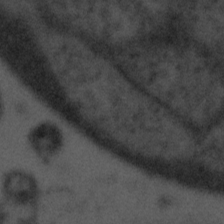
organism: Tuwongella immobilis